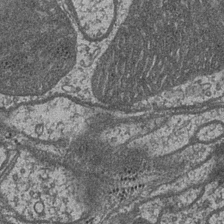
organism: Drosophila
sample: Optic medulla